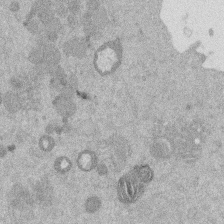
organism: Mouse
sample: Dividing mouse embryo 1 cell stage